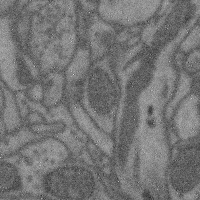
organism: Mouse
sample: Cerebral cortex